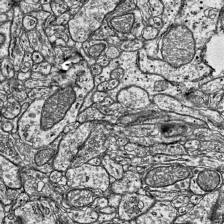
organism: Mouse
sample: Visual Cortex